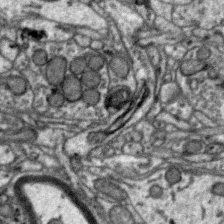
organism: Zebra finch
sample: Brain